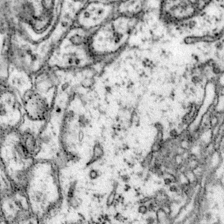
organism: Mouse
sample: Primary visual cortex